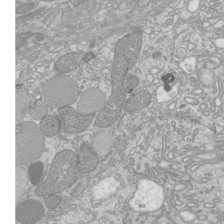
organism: Mouse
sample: Cilia; mouse epididymis